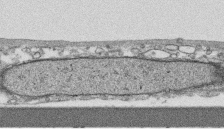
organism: Human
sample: CRL-1474